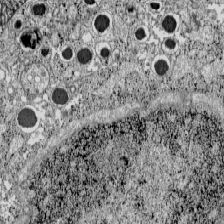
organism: C57BL Mouse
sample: Pancreatic islet